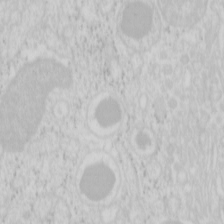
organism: Mouse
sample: Pancreas